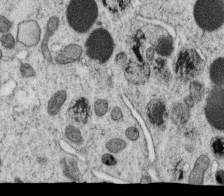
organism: C. elegans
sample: C. elegans oocyte; sperm cells